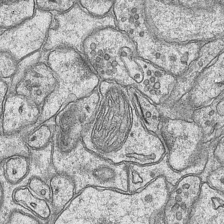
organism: Mouse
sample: CA1 Hippocampus